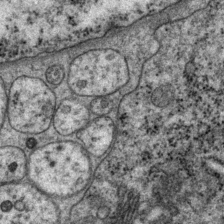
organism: P. pacificus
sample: Pharynx